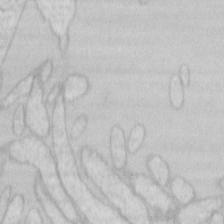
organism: Human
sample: HeLa cells